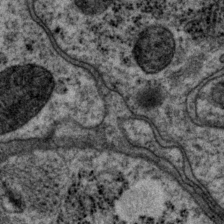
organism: P. pacificus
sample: Pharynx